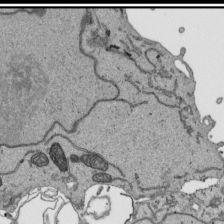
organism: Human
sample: Mitochondria in HCT116 cells